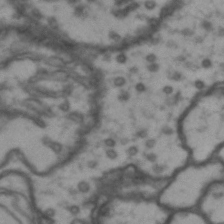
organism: Drosophila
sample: Brain